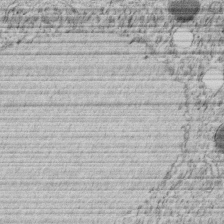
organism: C. elegans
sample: C. elegans embryo early stage